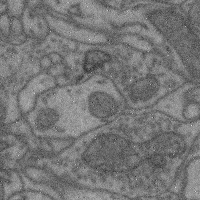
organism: Mouse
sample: Cerebral cortex